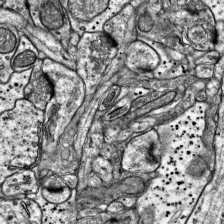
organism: Mouse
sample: Visual Cortex